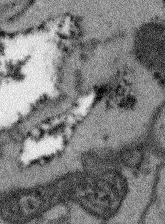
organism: Arabidopsis thaliana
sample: Root tip